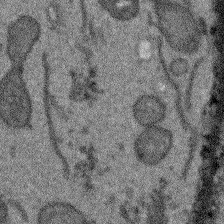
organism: Arabidopsis thaliana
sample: Root tip